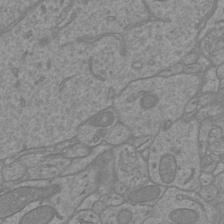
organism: Mouse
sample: Cortical neurons